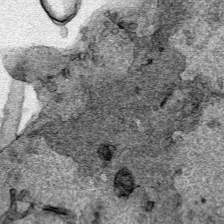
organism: Human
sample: Mitochondria in HCT116 cells